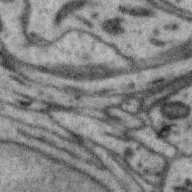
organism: Zebra finch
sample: Brain